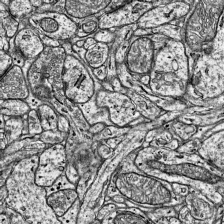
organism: Mouse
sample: Visual Cortex